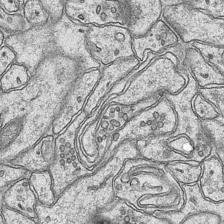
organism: Mouse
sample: CA1 Hippocampus